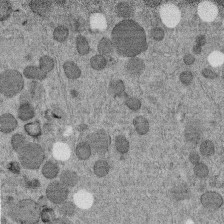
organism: C. elegans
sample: C. elegans embryo early stage